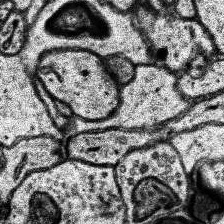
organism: Human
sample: Temporal Lobe